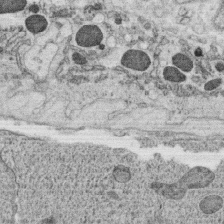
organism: C. elegans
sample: C. elegans oocyte; sperm cells